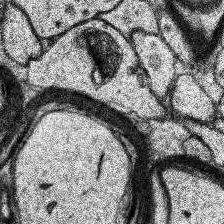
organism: Human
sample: Temporal Lobe